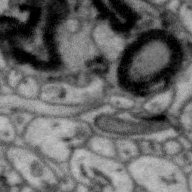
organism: Zebra finch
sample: Brain